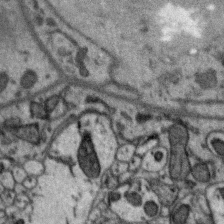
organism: Zebra finch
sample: Brain